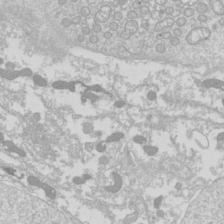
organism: Drosophila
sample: Cell division; meiosis; drosophila spermatocytes